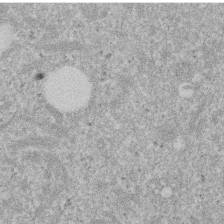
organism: Mouse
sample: Dividing mouse embryo 1 cell stage